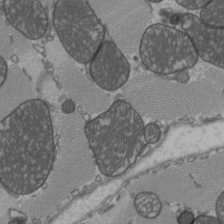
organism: C57BL Mouse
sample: Heart